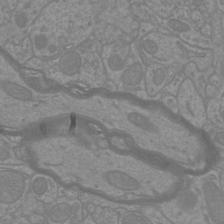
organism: Mouse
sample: Cortical neurons